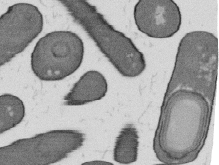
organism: B. subtilis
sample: Bacterial spore